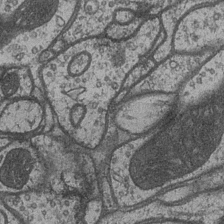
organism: Drosophila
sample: Optic medulla